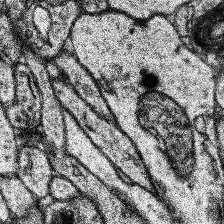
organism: Human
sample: Temporal Lobe